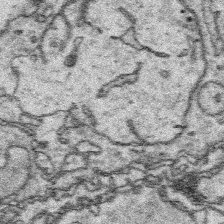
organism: Platynereis dumerilii